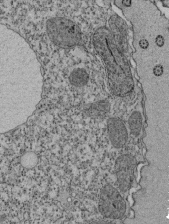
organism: Tetrahymena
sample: Cilia in tetrahymena